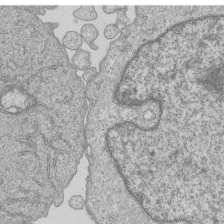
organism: Human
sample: MDA-MB-231 cells